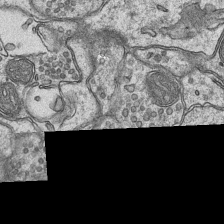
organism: Mouse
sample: CA1 Hippocampus